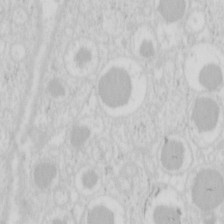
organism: Mouse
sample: Pancreas